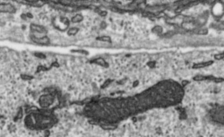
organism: Toxoplasma gondii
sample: Parasites in a vacuole inside a host cell